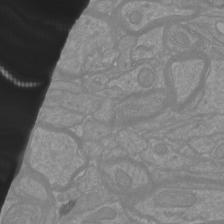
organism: Mouse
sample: Cortical neurons